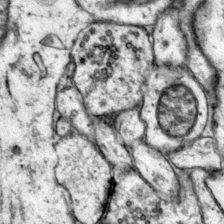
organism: Mouse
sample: Primary visual cortex